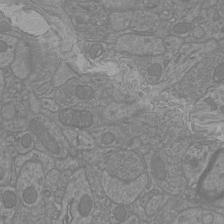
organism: Mouse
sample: Cortical neurons